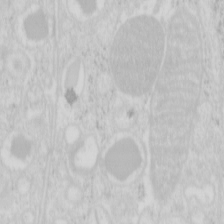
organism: Mouse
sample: Pancreas